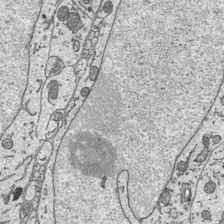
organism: Mouse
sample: Suprachiasmatic nucleus